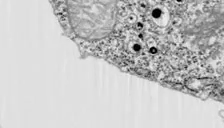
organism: Chlamydomonas reinhardtii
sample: Whole Cell